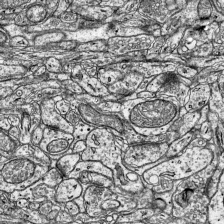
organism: Mouse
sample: Visual Cortex